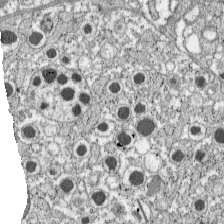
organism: C57BL Mouse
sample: Pancreatic islet